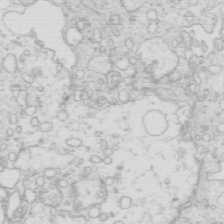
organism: Mouse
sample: Multiciliated cells